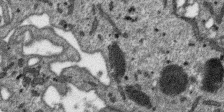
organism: Human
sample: Lung epithelial cells infected with SARS-CoV-2